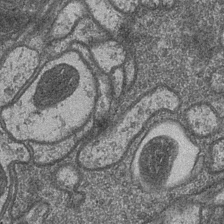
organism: Drosophila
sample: Optic medulla